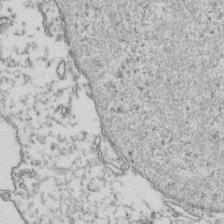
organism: Human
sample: Activated Jurkat CD4+ T cells